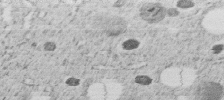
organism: C. elegans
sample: C. elegans embryo early stage